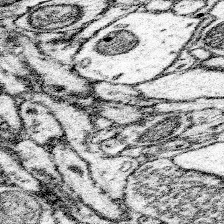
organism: Mouse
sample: Somatosensory cortex neuropil